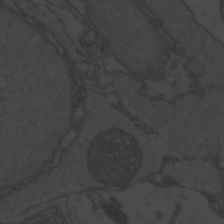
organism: Zebrafish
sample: Macrophage infected with Toxoplasma gondii